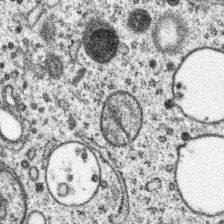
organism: Human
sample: HeLa cells